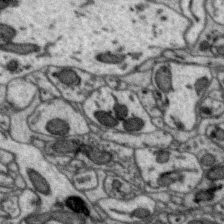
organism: Zebra finch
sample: Brain